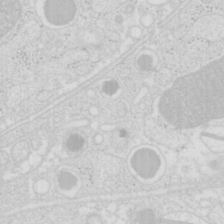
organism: Mouse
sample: Pancreas